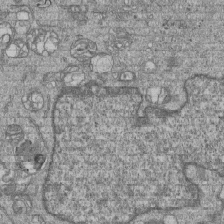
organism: Human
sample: MDA-MB-231 cells